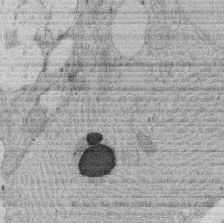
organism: Rat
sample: Salivary granule